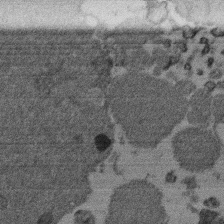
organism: Mouse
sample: Dividing mouse embryo 1 cell stage